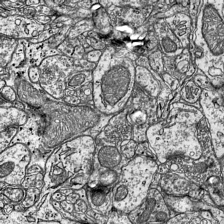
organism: Mouse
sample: Visual Cortex